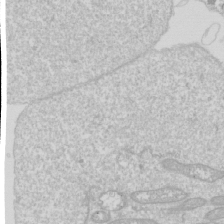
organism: Drosophila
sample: Cell division; meiosis; drosophila spermatocytes